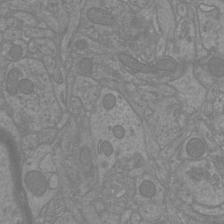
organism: Mouse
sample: Cortical neurons